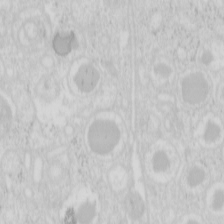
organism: Mouse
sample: Pancreas